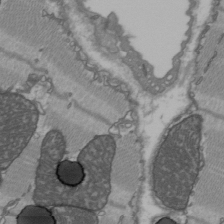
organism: C57BL Mouse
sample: Heart